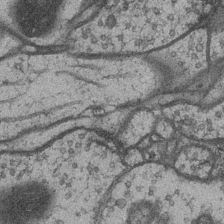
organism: Drosophila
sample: Optic medulla